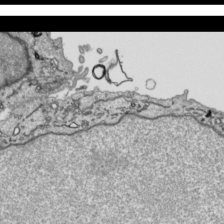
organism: Human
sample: Mitochondria in HCT116 cells